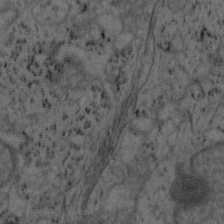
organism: Human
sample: HeLa cells